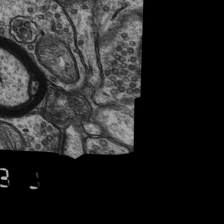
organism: Rat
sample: Hippocampus